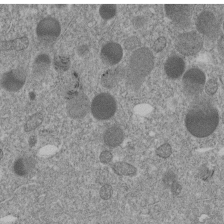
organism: C. elegans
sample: C. elegans embryo early stage